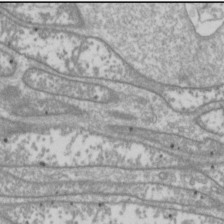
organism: Drosophila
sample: Cell division; meiosis; drosophila spermatocytes